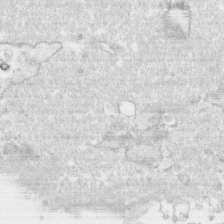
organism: Human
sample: CRL-1474